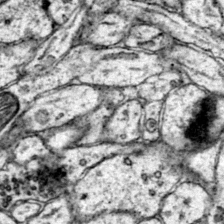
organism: Mouse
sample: Primary visual cortex